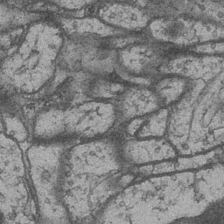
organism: Drosophila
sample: Optic medulla